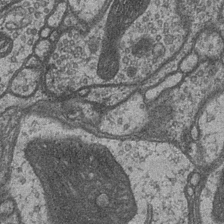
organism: Drosophila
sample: Optic medulla